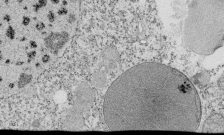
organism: Tetrahymena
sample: Cilia in tetrahymena